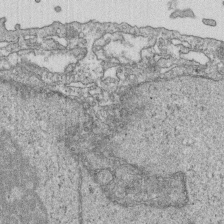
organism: Human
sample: HeLa cell HIV synapse